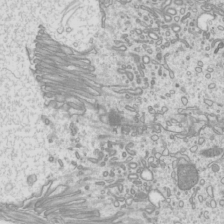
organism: Mouse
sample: Cilia; mouse epididymis